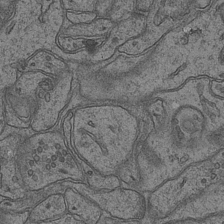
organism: Mouse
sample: CA1 Hippocampus